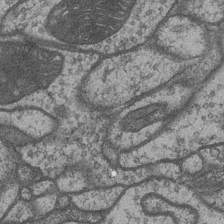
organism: Drosophila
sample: Optic medulla